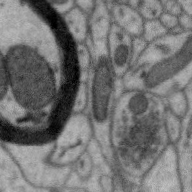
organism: Zebra finch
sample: Brain